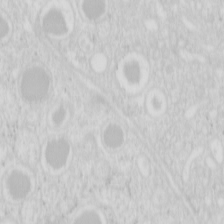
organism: Mouse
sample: Pancreas